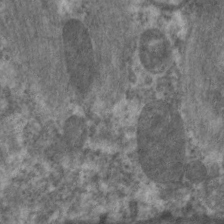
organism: C. elegans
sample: Pharynx